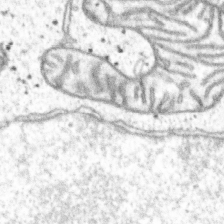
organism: Human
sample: HeLa cells